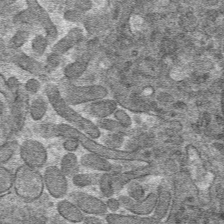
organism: Mouse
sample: Mouse hepatocytes